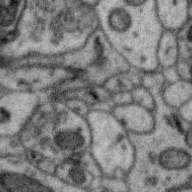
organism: Zebra finch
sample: Brain